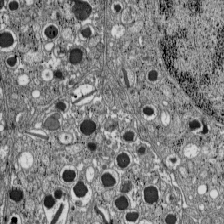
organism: C57BL Mouse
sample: Pancreatic islet